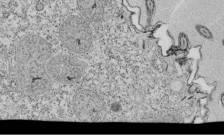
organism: Tetrahymena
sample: Cilia in tetrahymena